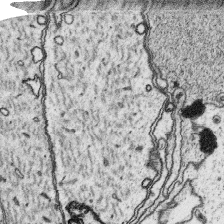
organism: Platynereis dumerilii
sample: Parapodia